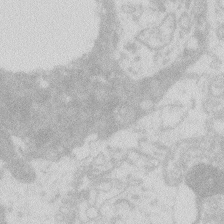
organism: Zebrafish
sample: Macrophage